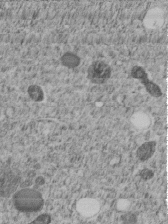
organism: C. elegans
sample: C. elegans embryo early stage